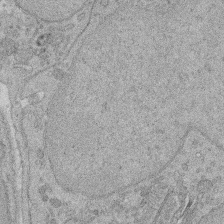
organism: Rat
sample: Salivary granule